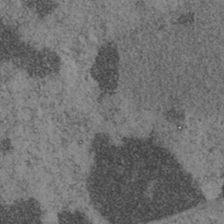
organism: Mouse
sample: OT-I killer T cells with ID8 ovarian cancer cells